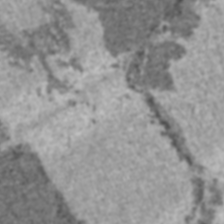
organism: C57BL Mouse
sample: Heart